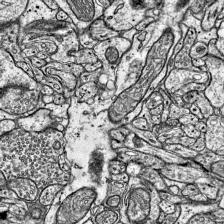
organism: Mouse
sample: Visual Cortex